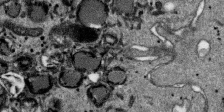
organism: Human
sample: Lung epithelial cells, uninfected (mock) control